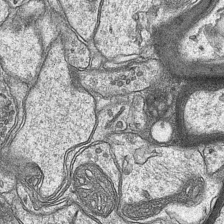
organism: Mouse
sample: CA1 Hippocampus